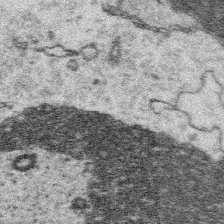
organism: Platynereis dumerilii